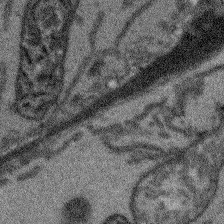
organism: Arabidopsis thaliana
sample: Root tip